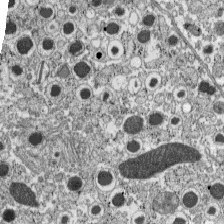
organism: C57BL Mouse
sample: Pancreatic islet